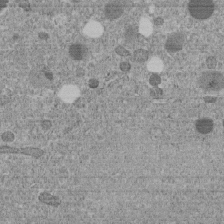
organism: C. elegans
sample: C. elegans embryo early stage